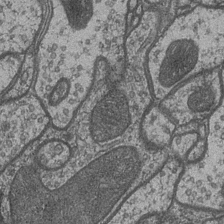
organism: Drosophila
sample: Optic medulla